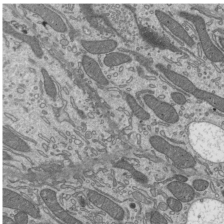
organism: Mouse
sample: Mouse epididymis efferent ductule cilia